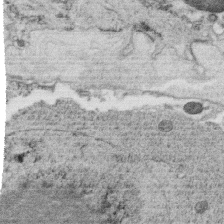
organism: C. elegans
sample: C. elegans oocyte; sperm cells